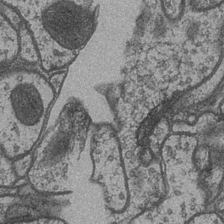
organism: Drosophila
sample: Optic medulla